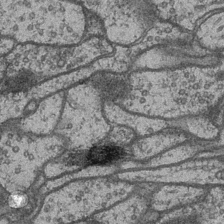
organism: Drosophila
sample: Optic medulla